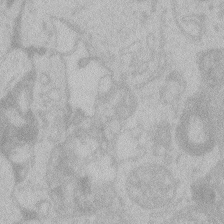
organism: Zebrafish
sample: Macrophage infected with Toxoplasma gondii